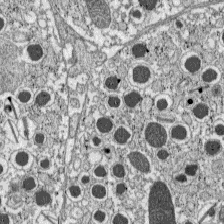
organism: C57BL Mouse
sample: Pancreatic islet